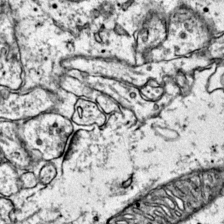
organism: Mouse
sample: Primary visual cortex